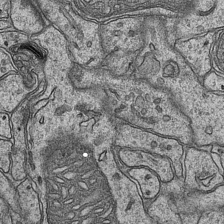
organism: Mouse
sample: CA1 Hippocampus